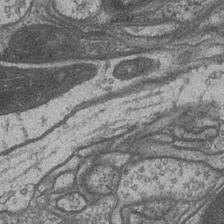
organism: Drosophila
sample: Optic medulla